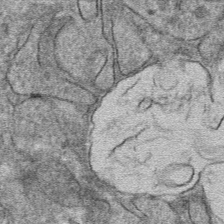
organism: Mouse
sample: Mouse hepatocytes